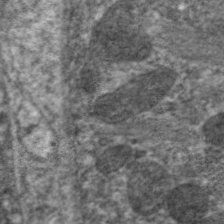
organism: C. elegans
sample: Pharynx